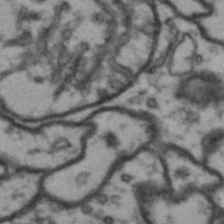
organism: Drosophila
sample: Brain